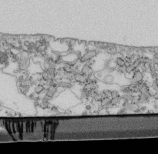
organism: Mouse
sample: Cilia; retinal pigment epithelium